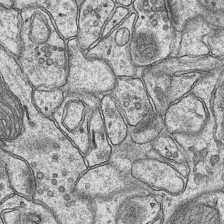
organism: Mouse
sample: CA1 Hippocampus